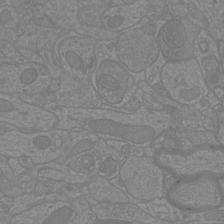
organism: Mouse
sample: Cortical neurons